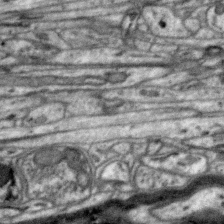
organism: Zebra finch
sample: Brain